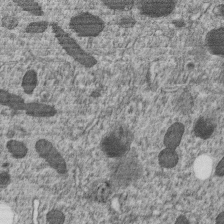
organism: C. elegans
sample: C. elegans embryo early stage